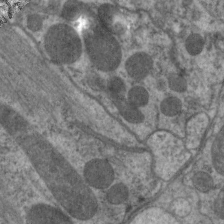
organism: C. elegans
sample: Pharynx